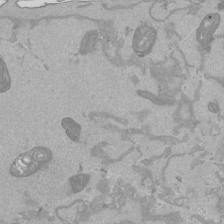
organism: Human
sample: Mitochondria in HCT116 cells